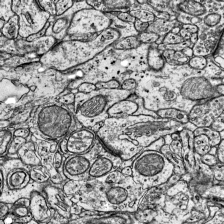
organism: Mouse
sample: Visual Cortex